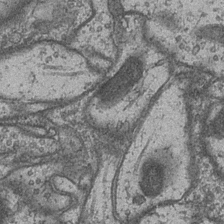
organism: Drosophila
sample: Optic medulla